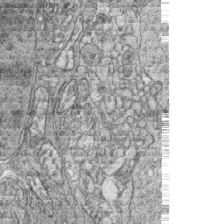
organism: Zebrafish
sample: synaptic ribbons in rod cells and cone cells